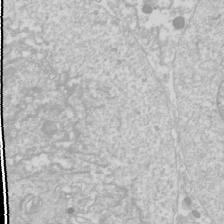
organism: Drosophila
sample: Cell division; meiosis; drosophila spermatocytes